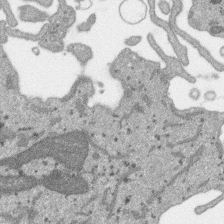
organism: Human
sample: Lung epithelial cells infected with SARS-CoV-2